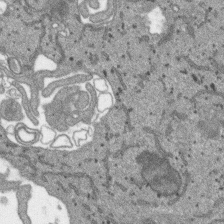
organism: Human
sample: Lung epithelial cells infected with SARS-CoV-2